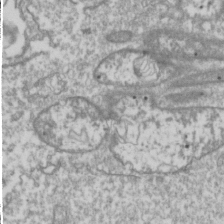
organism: Drosophila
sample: Cell division; meiosis; drosophila spermatocytes